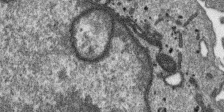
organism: Human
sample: Lung epithelial cells infected with SARS-CoV-2